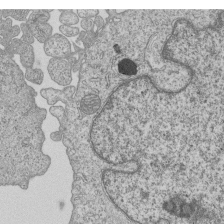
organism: Human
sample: MDA-MB-231 cells